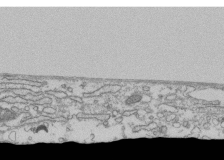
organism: Human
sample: Fibroblast cells